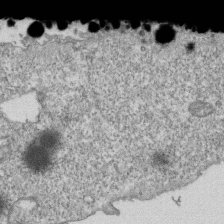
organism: Human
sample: HeLa cell HIV synapse